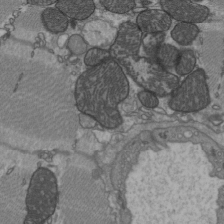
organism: C57BL Mouse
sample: Heart